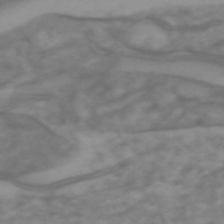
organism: Zebrafish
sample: Zebrafish embryo